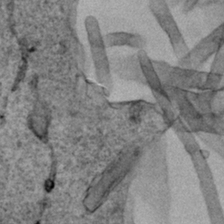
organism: Human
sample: Mitochondria in HCT116 cells